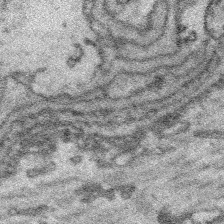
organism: Platynereis dumerilii